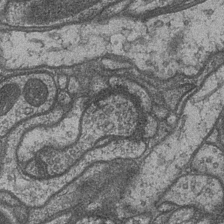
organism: Drosophila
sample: Optic medulla